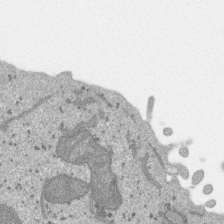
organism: Human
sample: Lung epithelial cells infected with SARS-CoV-2